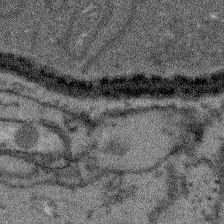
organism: Arabidopsis thaliana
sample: Root tip